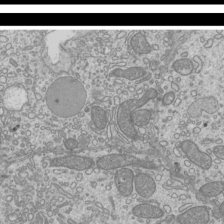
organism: Mouse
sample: Cilia; mouse epididymis